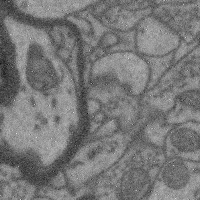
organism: Mouse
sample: Cerebral cortex